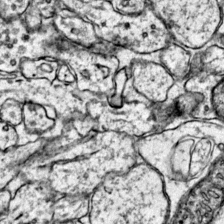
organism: Mouse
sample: Primary visual cortex